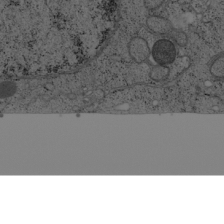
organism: African green monkey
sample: COS-7 cells